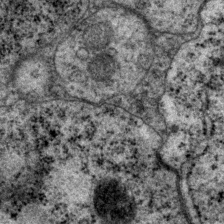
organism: P. pacificus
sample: Pharynx